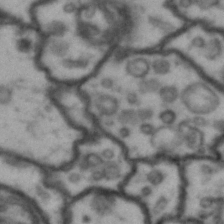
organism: Drosophila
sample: Brain